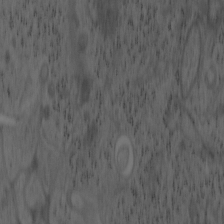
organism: Human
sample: HeLa cells